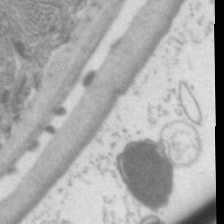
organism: C. elegans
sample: Pharynx